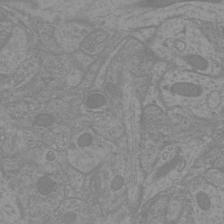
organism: Mouse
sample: Cortical neurons